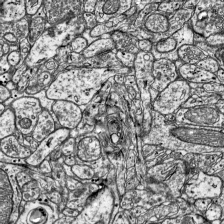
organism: Mouse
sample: Visual Cortex